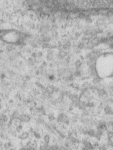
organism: Human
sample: Centriole in RPE cells